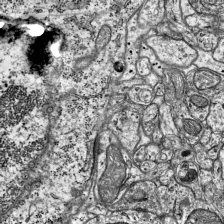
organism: Mouse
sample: Visual Cortex